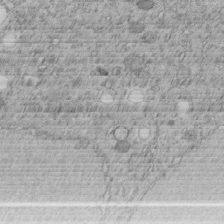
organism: C. elegans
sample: C. elegans embryo early stage